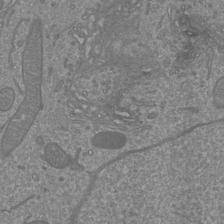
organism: Mouse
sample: Cortical neurons